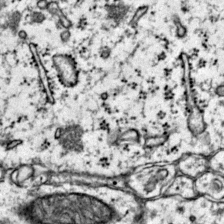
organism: Mouse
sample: Primary visual cortex